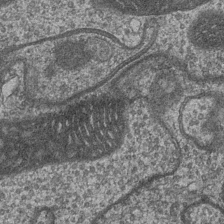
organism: Drosophila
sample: Optic medulla